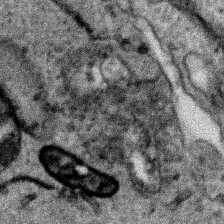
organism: Human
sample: Mitochondria in HCT116 cells